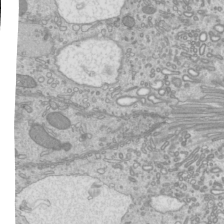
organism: Mouse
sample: Cilia; mouse epididymis